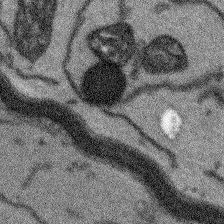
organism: Arabidopsis thaliana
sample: Root tip